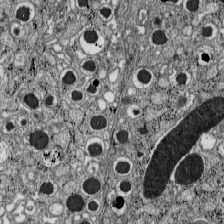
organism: C57BL Mouse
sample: Pancreatic islet